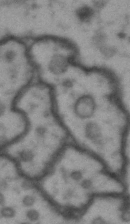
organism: Drosophila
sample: Brain